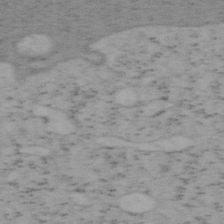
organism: Mouse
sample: OT-I killer T cells with ID8 ovarian cancer cells